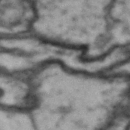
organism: Drosophila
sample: Brain